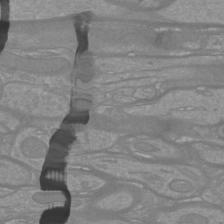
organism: Mouse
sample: Cortical neurons